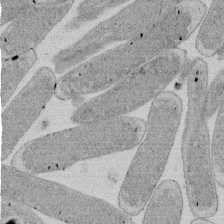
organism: E. coli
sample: Bacterial nucleoid